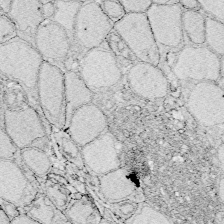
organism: Zebrafish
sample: Whole-Brain